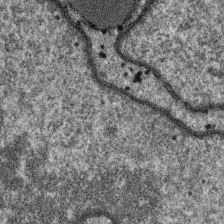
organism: Human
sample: Lung epithelial cells infected with SARS-CoV-2